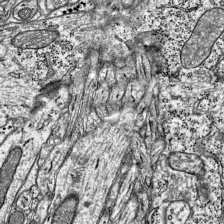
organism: Mouse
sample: Visual Cortex